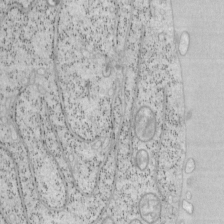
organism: Mouse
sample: OT-I killer T cells with ID8 ovarian cancer cells